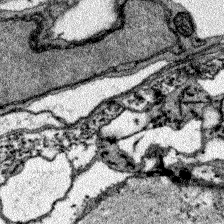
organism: Zebrafish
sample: Larval olfactory bulb